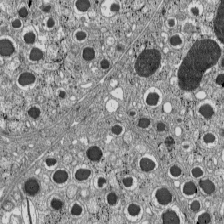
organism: C57BL Mouse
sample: Pancreatic islet